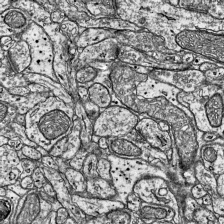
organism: Mouse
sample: Visual Cortex